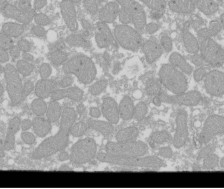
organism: Xenopus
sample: Cilia; centrioles in frog embryo cells